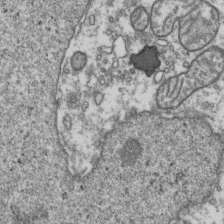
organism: Human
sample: Activated Jurkat CD4+ T cells